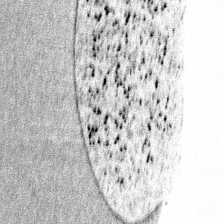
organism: Human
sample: HeLa cells